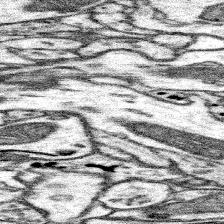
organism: Mouse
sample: Somatosensory cortex neuropil